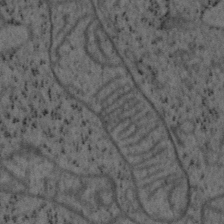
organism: Human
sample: HeLa cells